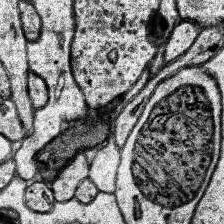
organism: Human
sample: Temporal Lobe